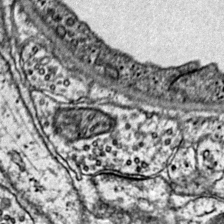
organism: Mouse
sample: Primary visual cortex